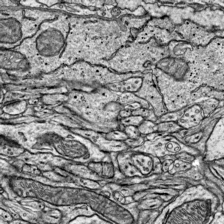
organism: Mouse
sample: Visual Cortex